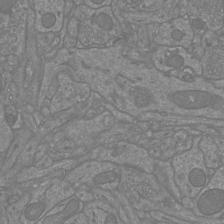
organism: Mouse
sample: Cortical neurons